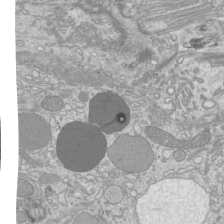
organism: Mouse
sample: Cilia; mouse epididymis